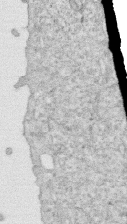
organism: Human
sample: HeLa cell HIV synapse